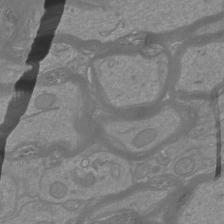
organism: Mouse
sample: Cortical neurons